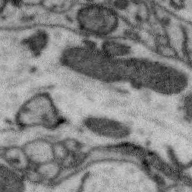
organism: Zebra finch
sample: Brain